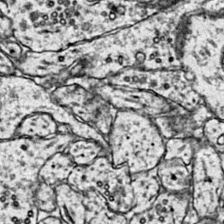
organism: Mouse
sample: Primary visual cortex